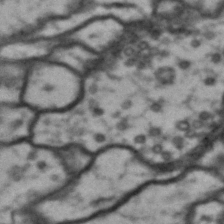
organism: Drosophila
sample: Brain